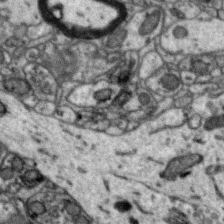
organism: Zebra finch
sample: Brain